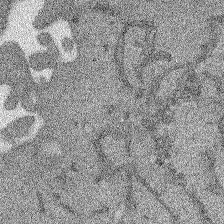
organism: Human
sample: HeLa cells